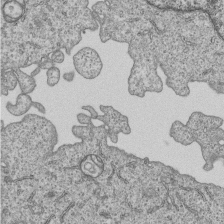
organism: Human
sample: MDA-MB-231 cells